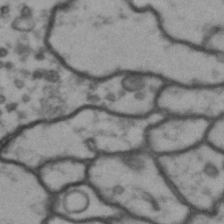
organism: Drosophila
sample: Brain